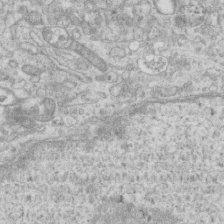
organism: Mouse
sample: Centriole in ependymal cells